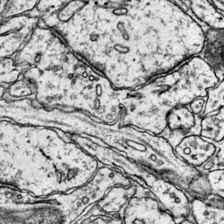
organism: Mouse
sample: Primary visual cortex